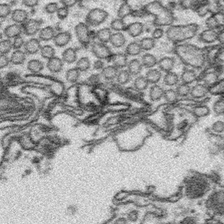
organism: Platynereis dumerilii